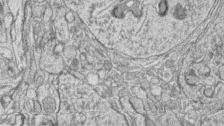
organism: Zebrafish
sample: synaptic ribbons in rod cells and cone cells